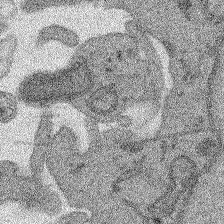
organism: Human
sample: HeLa cells